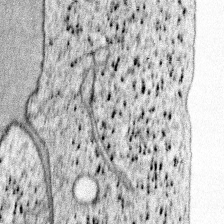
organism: Human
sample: HeLa cells